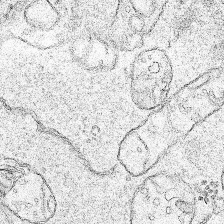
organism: Human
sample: Mitochondria in HCT116 cells